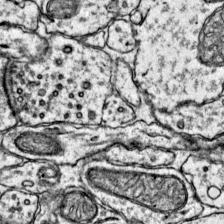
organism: Mouse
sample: Primary visual cortex